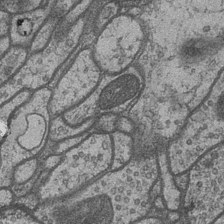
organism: Drosophila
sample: Optic medulla